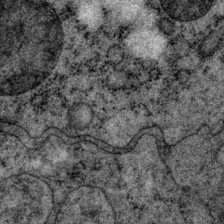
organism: P. pacificus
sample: Pharynx